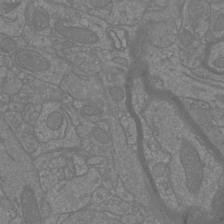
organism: Mouse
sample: Cortical neurons